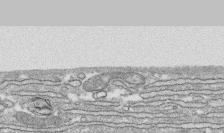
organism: Human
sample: CRL-1474